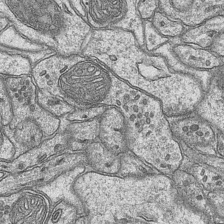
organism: Mouse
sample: CA1 Hippocampus